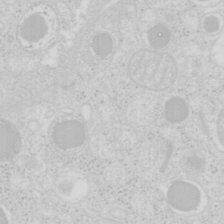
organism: Mouse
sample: Pancreas